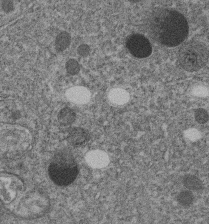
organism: C. elegans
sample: C. elegans embryo early stage